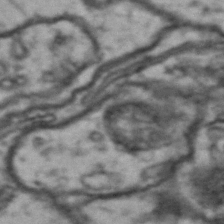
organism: Drosophila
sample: Brain